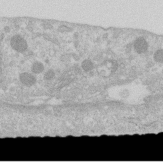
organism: Human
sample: Centriole in RPE cells